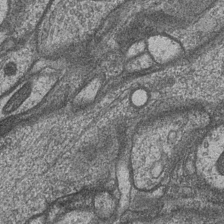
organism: Drosophila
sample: Optic medulla